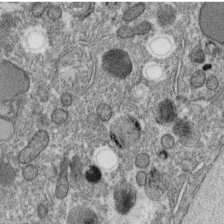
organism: C. elegans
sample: C. elegans oocyte; sperm cells